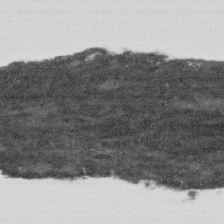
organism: Human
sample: Fibroblast cells